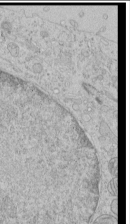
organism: Human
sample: Mitochondria in HCT116 cells